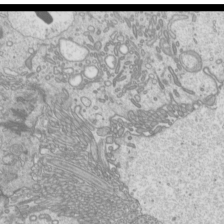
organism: Mouse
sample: Cilia; mouse epididymis